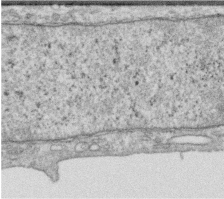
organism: Human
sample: Centriole in RPE cells